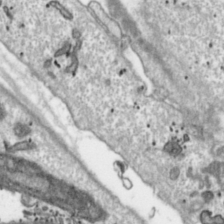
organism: Toxoplasma gondii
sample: Parasites in a vacuole inside a host cell